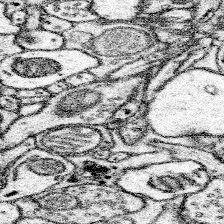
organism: Mouse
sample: Somatosensory cortex neuropil